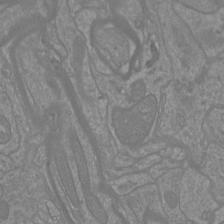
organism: Mouse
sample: Cortical neurons